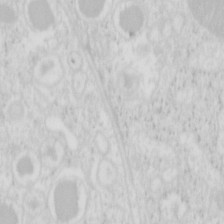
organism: Mouse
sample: Pancreas